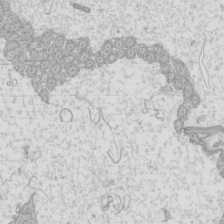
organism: Mouse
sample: Cilia; mouse epididymis